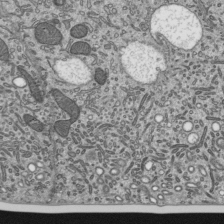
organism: Mouse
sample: Mouse epididymis efferent ductule cilia